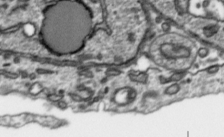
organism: Toxoplasma gondii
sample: Parasites in a vacuole inside a host cell